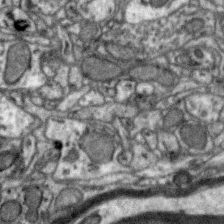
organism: Zebra finch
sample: Brain